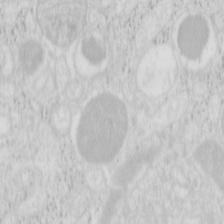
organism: Mouse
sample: Pancreas